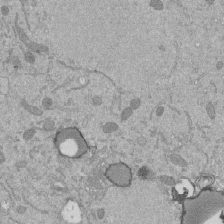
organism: Mouse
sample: ED-1 cell nuclei; centrioles